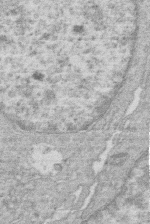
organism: Human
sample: Macrophage cells